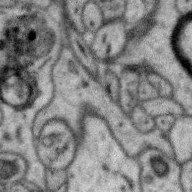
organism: Zebra finch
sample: Brain